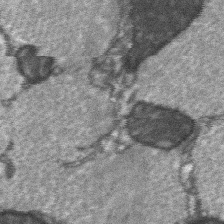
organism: C57BL Mouse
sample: Soleus